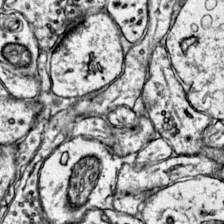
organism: Mouse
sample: Primary visual cortex